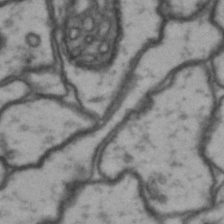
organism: Drosophila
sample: Brain